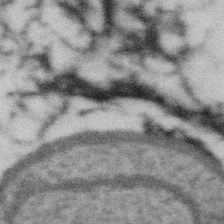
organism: Gemmata obscuriglobus